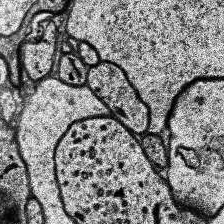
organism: Human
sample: Temporal Lobe